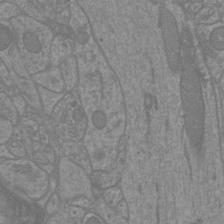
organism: Mouse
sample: Cortical neurons